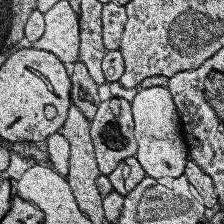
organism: Human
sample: Temporal Lobe